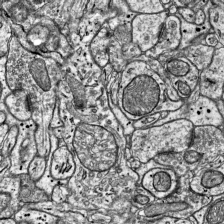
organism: Mouse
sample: Visual Cortex